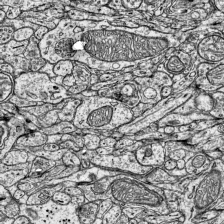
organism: Mouse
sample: Visual Cortex